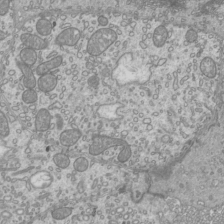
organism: Mouse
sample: Cilia; mouse epididymis